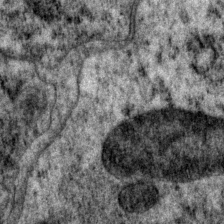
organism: P. pacificus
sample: Pharynx